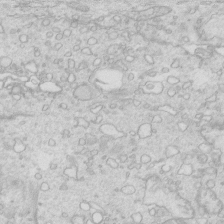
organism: Mouse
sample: Multiciliated cells